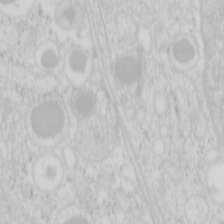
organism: Mouse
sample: Pancreas